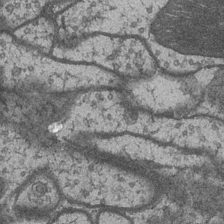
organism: Drosophila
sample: Optic medulla